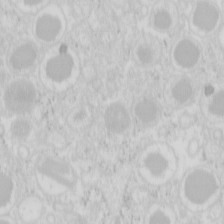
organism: Mouse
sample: Pancreas